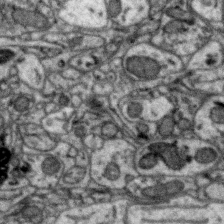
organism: Zebra finch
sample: Brain